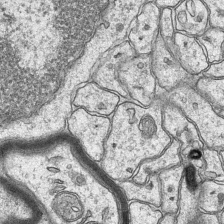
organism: Mouse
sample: CA1 Hippocampus